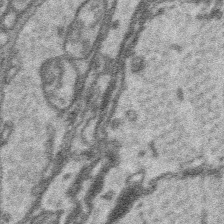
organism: Platynereis dumerilii